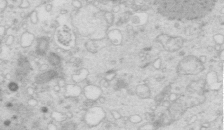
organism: Mouse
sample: Multiciliated cells